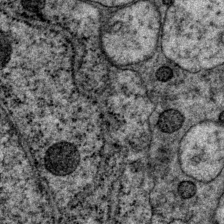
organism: P. pacificus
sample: Pharynx